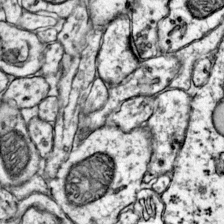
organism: Mouse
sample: Primary visual cortex